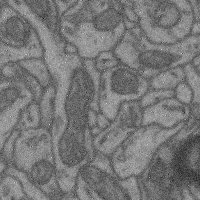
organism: Mouse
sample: Cerebral cortex